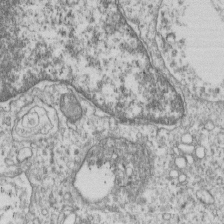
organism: Human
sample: MDA-MB-231 cells